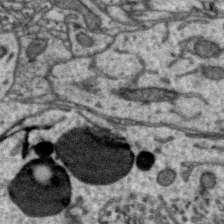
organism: Zebra finch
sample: Brain